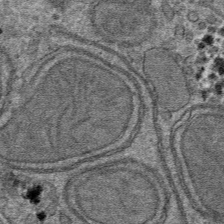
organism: Mouse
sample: Mouse hepatocytes